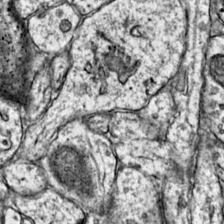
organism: Mouse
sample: Primary visual cortex